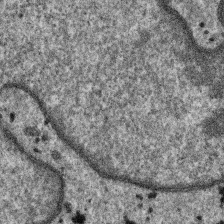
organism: Human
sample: Lung epithelial cells infected with SARS-CoV-2